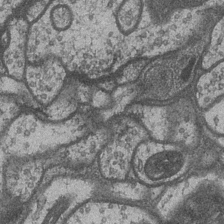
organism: Drosophila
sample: Optic medulla